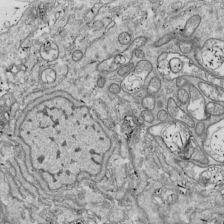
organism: Drosophila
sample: Cell division; meiosis; drosophila spermatocytes